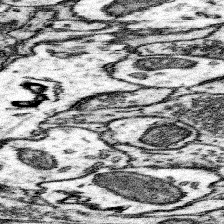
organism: Mouse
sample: Somatosensory cortex neuropil